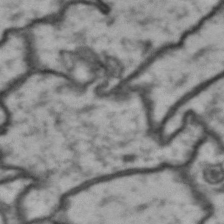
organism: Drosophila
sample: Brain